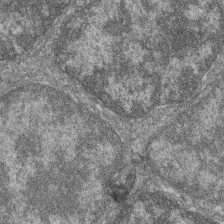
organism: Zebrafish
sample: Cilia; retinal pigment epithelium